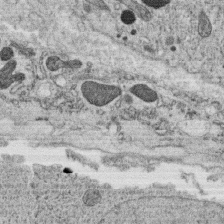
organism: C. elegans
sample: C. elegans oocyte; sperm cells